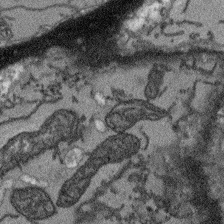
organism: Arabidopsis thaliana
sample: Root tip